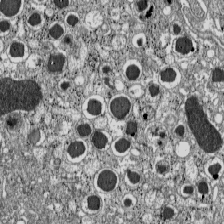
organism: C57BL Mouse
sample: Pancreatic islet